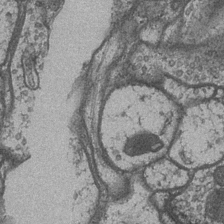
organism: Drosophila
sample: Optic medulla